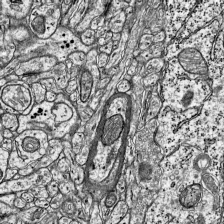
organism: Mouse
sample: Visual Cortex